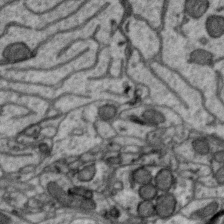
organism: Zebra finch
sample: Brain